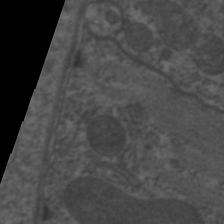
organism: C. elegans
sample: Pharynx